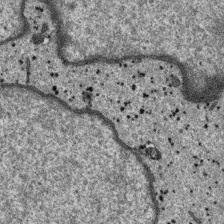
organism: Human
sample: Lung epithelial cells, uninfected (mock) control